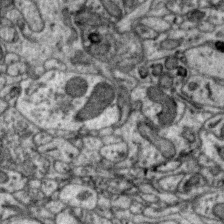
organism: Zebra finch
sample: Brain